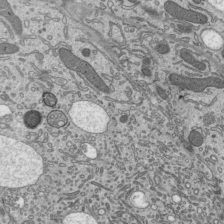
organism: Mouse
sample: Mouse epididymis efferent ductule cilia